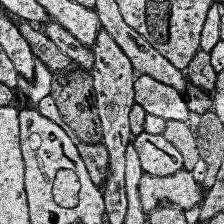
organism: Human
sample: Temporal Lobe